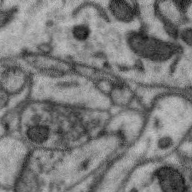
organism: Zebra finch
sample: Brain